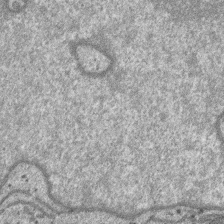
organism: Human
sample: Lung epithelial cells infected with SARS-CoV-2